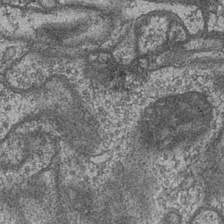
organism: Drosophila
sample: Optic medulla